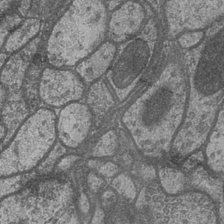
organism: Drosophila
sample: Optic medulla